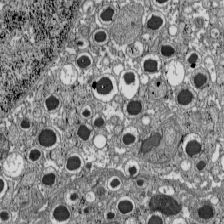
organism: C57BL Mouse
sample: Pancreatic islet